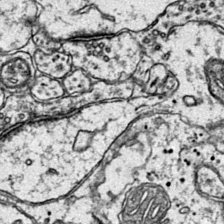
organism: Mouse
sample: Primary visual cortex